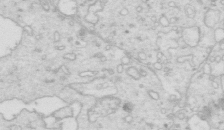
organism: Mouse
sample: Multiciliated cells